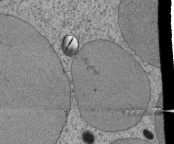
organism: Tetrahymena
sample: Cilia in tetrahymena